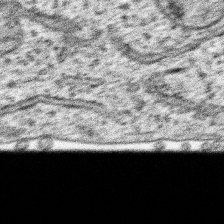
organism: Human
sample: HeLa cells